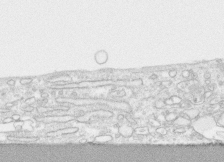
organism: Human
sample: CRL-1474